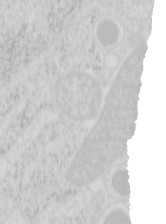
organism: Mouse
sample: Pancreas